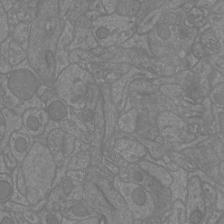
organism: Mouse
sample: Cortical neurons